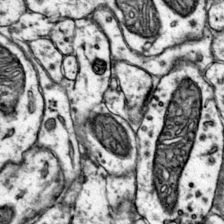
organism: Mouse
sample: Primary visual cortex